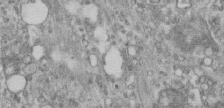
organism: Human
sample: Centriole in RPE cells